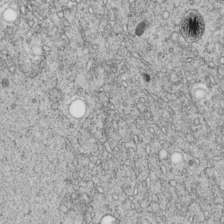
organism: C. elegans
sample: C. elegans embryo early stage